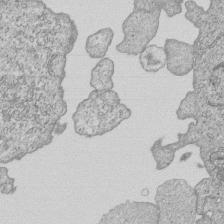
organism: Human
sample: MDA-MB-231 cells